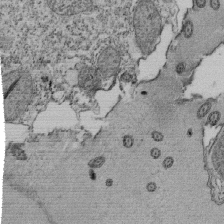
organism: Tetrahymena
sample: Cilia in tetrahymena